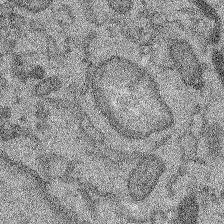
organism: Human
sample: HeLa cells